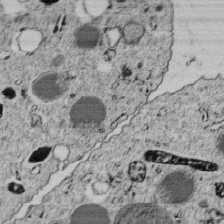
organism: C. elegans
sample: C. elegans embryo early stage